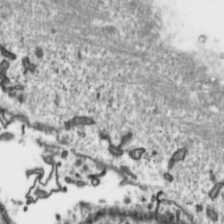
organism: Toxoplasma gondii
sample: Parasites in a vacuole inside a host cell